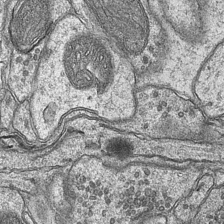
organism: Mouse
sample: CA1 Hippocampus